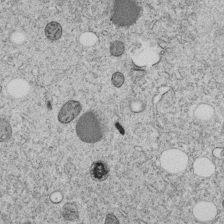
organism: C. elegans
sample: C. elegans embryo early stage